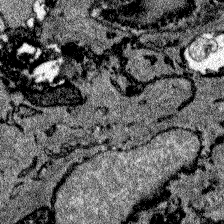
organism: Zebrafish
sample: Larval olfactory bulb